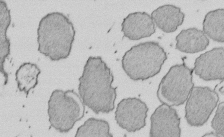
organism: E. coli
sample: Bacterial nucleoid